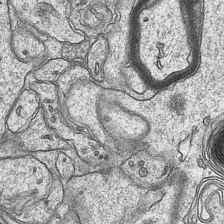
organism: Mouse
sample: CA1 Hippocampus